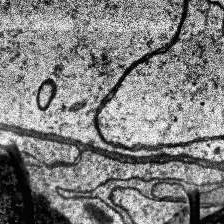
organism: Human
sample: Temporal Lobe